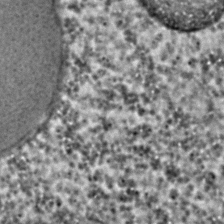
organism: C. elegans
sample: C. elegans embryo